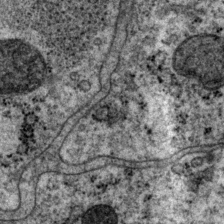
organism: P. pacificus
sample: Pharynx